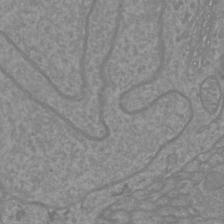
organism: Mouse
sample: Cortical neurons